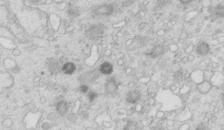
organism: Mouse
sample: Multiciliated cells